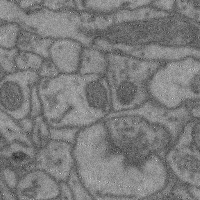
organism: Mouse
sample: Cerebral cortex